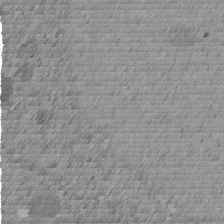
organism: C. elegans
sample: C. elegans embryo early stage